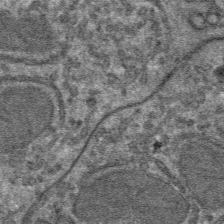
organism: Mouse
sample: Mouse hepatocytes